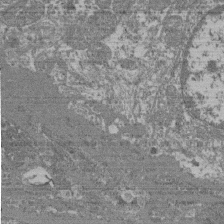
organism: Mouse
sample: Glomerulus